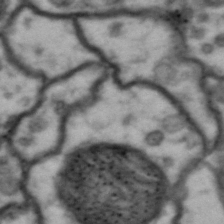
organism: Drosophila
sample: Brain